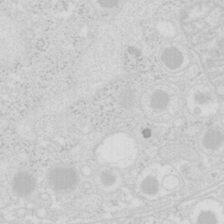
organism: Mouse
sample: Pancreas